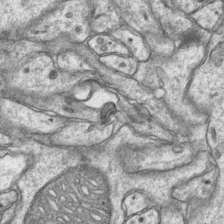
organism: Mouse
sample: CA1 Hippocampus